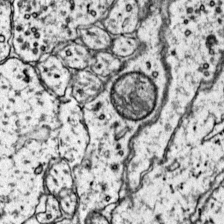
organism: Mouse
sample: Primary visual cortex